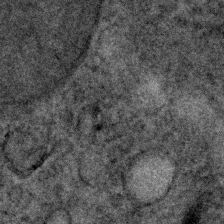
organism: Human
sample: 1205lu cells